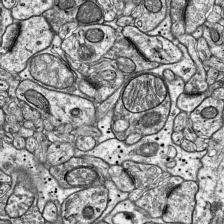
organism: Mouse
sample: Visual Cortex